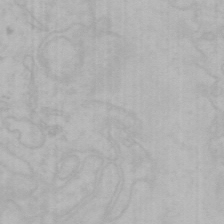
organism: Mouse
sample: Choroid plexus